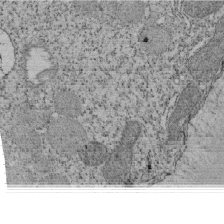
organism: Tetrahymena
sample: Cilia in tetrahymena